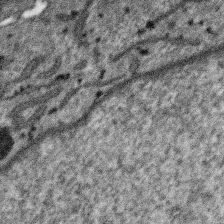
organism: Human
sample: Lung epithelial cells infected with SARS-CoV-2